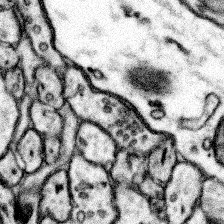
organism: Mouse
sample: Somatosensory cortex neuropil